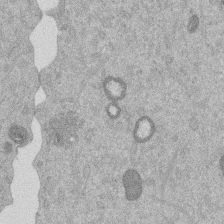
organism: Mouse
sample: Dividing mouse embryo 1 cell stage